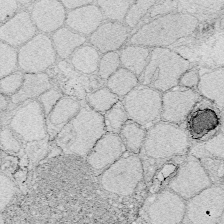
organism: Zebrafish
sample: Whole-Brain